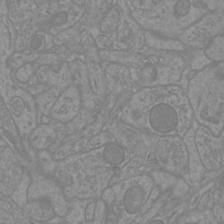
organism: Mouse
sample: Cortical neurons